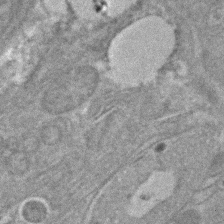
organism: C. elegans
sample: C. elegans embryo